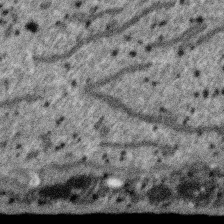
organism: Human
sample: Lung epithelial cells infected with SARS-CoV-2